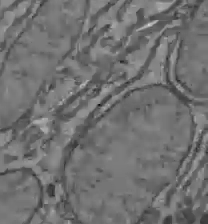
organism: C57BL Mouse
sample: Liver